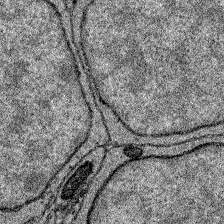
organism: Zebrafish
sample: Larval olfactory bulb